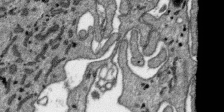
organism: Human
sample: Lung epithelial cells, uninfected (mock) control